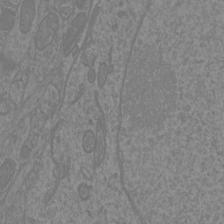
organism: Mouse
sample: Cortical neurons